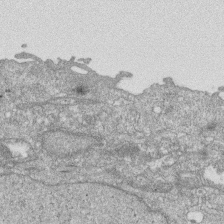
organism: Human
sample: HeLa cell HIV synapse